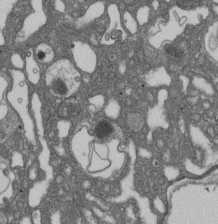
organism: Drosophila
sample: Nephrocyte